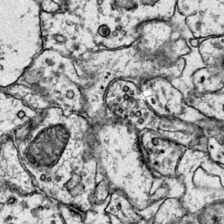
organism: Mouse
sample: Primary visual cortex